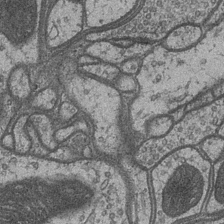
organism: Drosophila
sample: Optic medulla